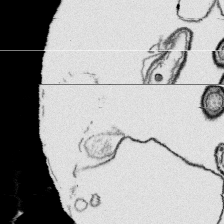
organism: Platynereis dumerilii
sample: Parapodia